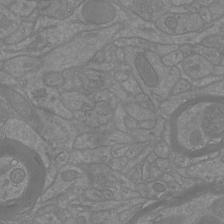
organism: Mouse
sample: Cortical neurons